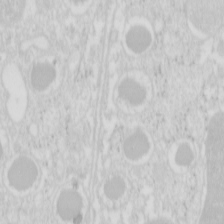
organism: Mouse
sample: Pancreas